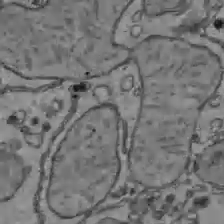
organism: C57BL Mouse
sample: Liver